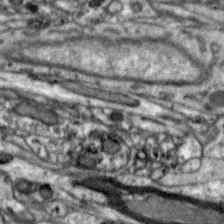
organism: Zebra finch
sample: Brain